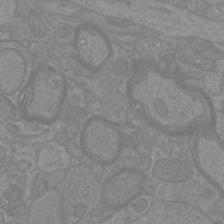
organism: Mouse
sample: Cortical neurons